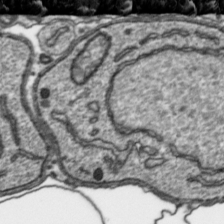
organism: Toxoplasma gondii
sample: Parasites in a vacuole inside a host cell